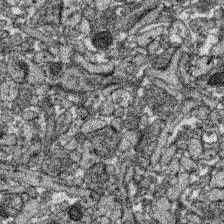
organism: Zebrafish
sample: Larval olfactory bulb